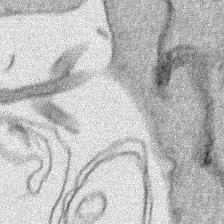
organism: Human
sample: Mitochondria in HCT116 cells